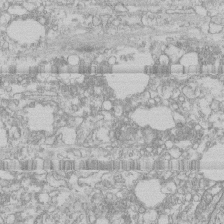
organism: Human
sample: CRL-1474